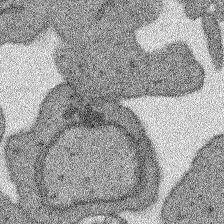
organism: Human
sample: HeLa cells